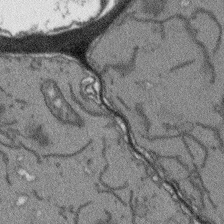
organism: Arabidopsis thaliana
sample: Root tip